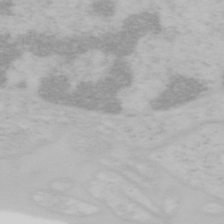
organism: Mouse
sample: OT-I killer T cells with ID8 ovarian cancer cells